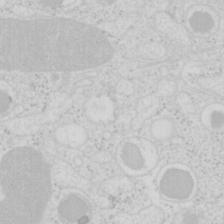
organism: Mouse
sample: Pancreas